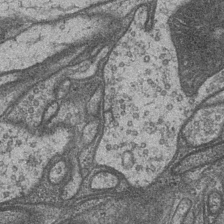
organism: Drosophila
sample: Optic medulla